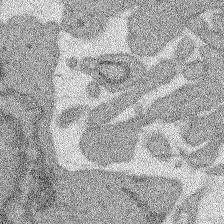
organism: Human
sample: HeLa cells